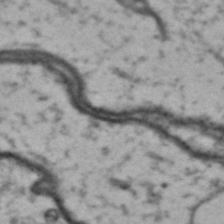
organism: Drosophila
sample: Brain